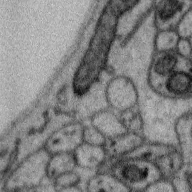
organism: Zebra finch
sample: Brain